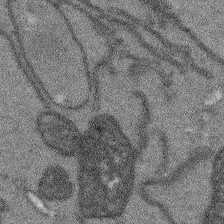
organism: Arabidopsis thaliana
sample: Root tip